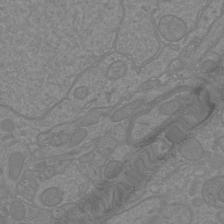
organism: Mouse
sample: Cortical neurons